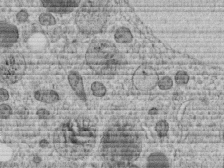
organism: C. elegans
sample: C. elegans embryo early stage